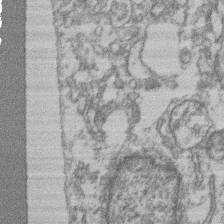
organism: Mouse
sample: T cell stromal cell synapse